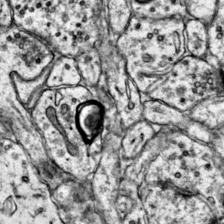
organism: Mouse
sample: Primary visual cortex